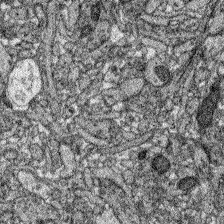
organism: Zebrafish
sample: Larval olfactory bulb